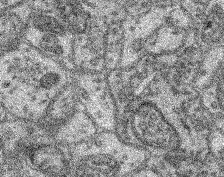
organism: Mouse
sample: Retina